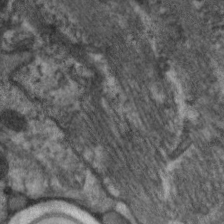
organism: C. elegans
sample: Pharynx